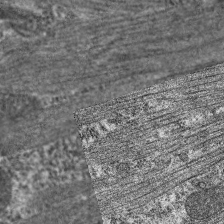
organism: C. elegans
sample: Pharynx